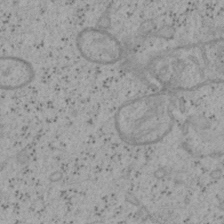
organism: Human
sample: HeLa cells